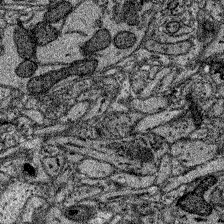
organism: Zebrafish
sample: Larval olfactory bulb